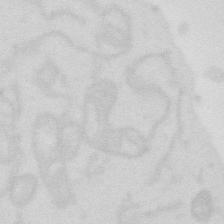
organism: Human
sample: HeLa cells